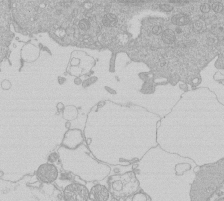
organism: Human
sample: Macrophage cells